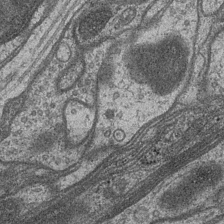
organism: Drosophila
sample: Optic medulla